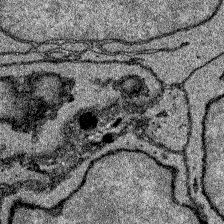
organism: Zebrafish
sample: Larval olfactory bulb